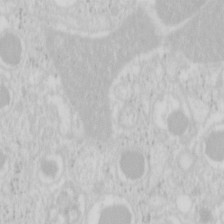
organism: Mouse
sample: Pancreas